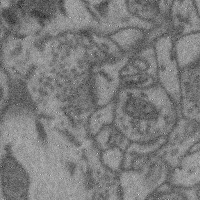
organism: Mouse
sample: Cerebral cortex